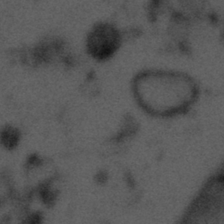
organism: Tuwongella immobilis